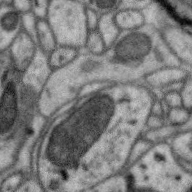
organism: Zebra finch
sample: Brain